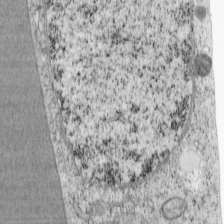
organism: African green monkey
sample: COS-7 cells